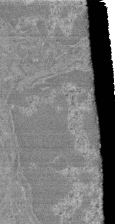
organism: Mouse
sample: Glomerulus